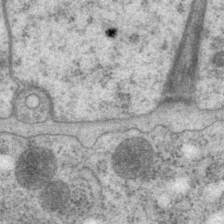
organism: P. pacificus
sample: Pharynx